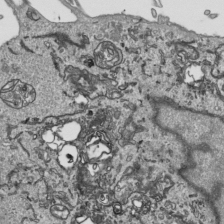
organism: Human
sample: Mitochondria in HCT116 cells